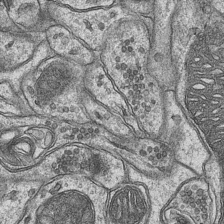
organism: Mouse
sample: CA1 Hippocampus